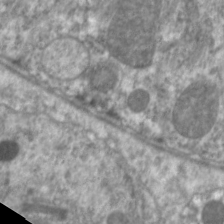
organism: C. elegans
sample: Pharynx